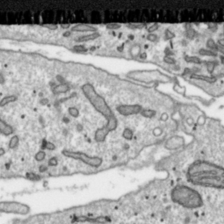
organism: Toxoplasma gondii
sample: Parasites in a vacuole inside a host cell